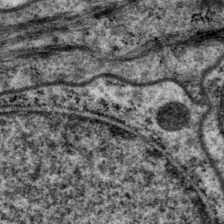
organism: P. pacificus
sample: Pharynx